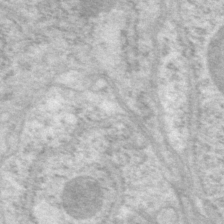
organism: P. pacificus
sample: Pharynx